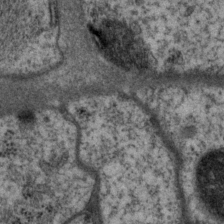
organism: P. pacificus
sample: Pharynx